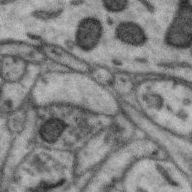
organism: Zebra finch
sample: Brain